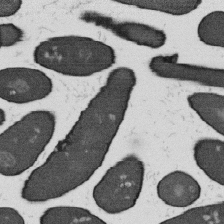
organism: B. subtilis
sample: Bacterial spore